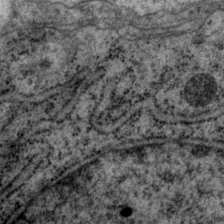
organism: P. pacificus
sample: Pharynx